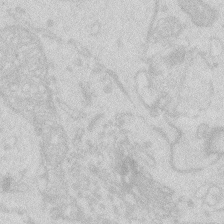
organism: Zebrafish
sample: Macrophage